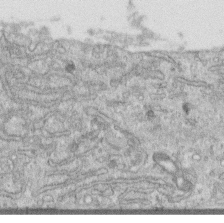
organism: Human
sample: Centriole in RPE cells